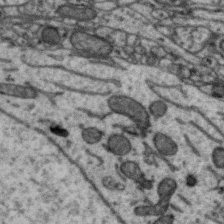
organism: Zebra finch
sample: Brain